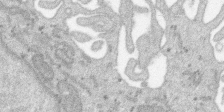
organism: Human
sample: Lung epithelial cells infected with SARS-CoV-2